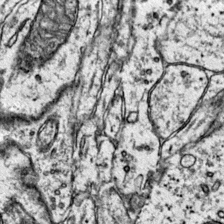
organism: Mouse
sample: Primary visual cortex